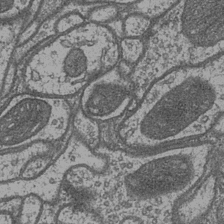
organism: Drosophila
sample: Optic medulla